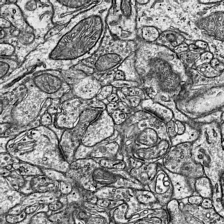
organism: Mouse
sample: Visual Cortex